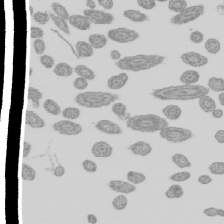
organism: Mouse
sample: Cilia; mouse epididymis